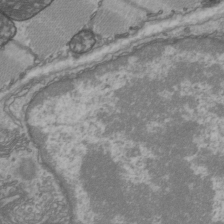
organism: C57BL Mouse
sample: Heart